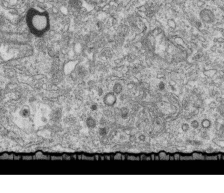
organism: Human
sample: HeLa cell HIV synapse